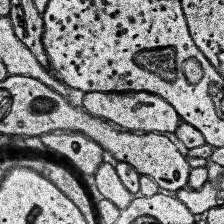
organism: Human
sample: Temporal Lobe